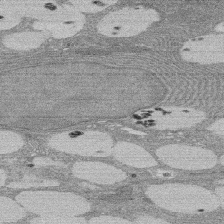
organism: Rat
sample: Salivary granule